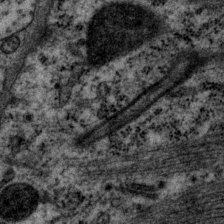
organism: P. pacificus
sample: Pharynx